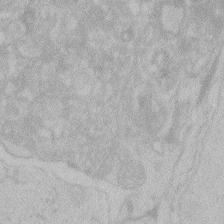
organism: Zebrafish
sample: Macrophage infected with Toxoplasma gondii